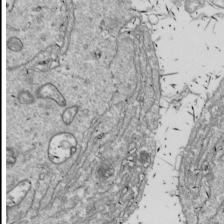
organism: Drosophila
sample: Cell division; meiosis; drosophila spermatocytes